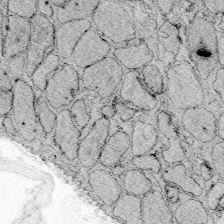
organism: Zebrafish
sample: Whole-Brain